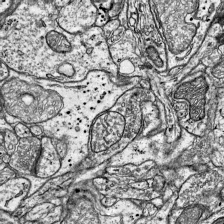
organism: Mouse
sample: Visual Cortex